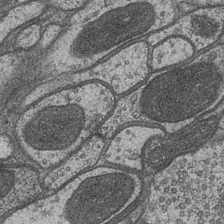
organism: Drosophila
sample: Optic medulla